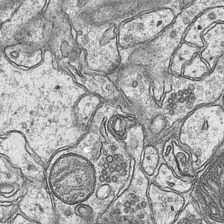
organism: Mouse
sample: CA1 Hippocampus